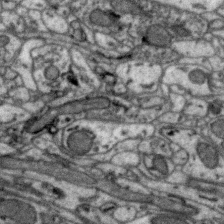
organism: Zebra finch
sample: Brain